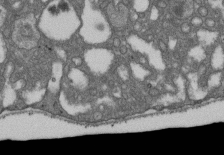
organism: Drosophila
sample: Nephrocyte